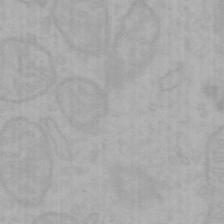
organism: Mouse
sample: Choroid plexus